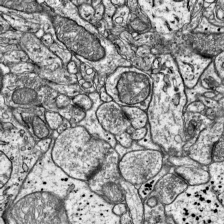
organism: Mouse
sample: Visual Cortex